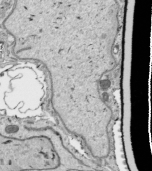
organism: Human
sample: Mitochondria in HCT116 cells